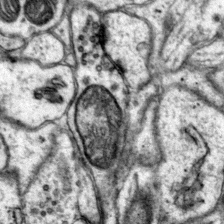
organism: Mouse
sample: Primary visual cortex